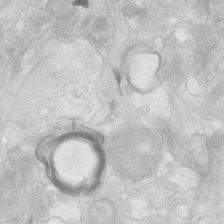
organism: Human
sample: Neocortex